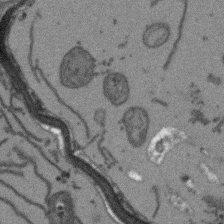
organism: Arabidopsis thaliana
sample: Root tip